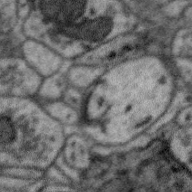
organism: Zebra finch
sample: Brain